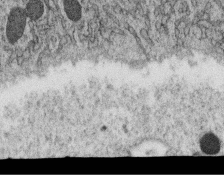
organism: C. elegans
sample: C. elegans oocyte; sperm cells